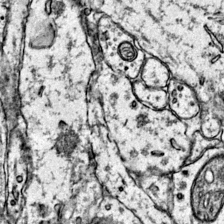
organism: Mouse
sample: Primary visual cortex